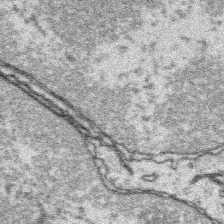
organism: Platynereis dumerilii